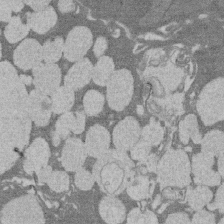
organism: Rat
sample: Salivary granule